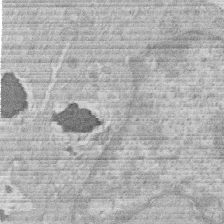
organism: Human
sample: Macrophage cells